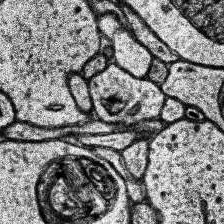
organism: Human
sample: Temporal Lobe